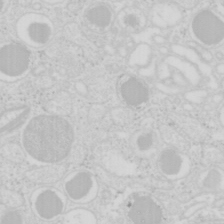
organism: Mouse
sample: Pancreas